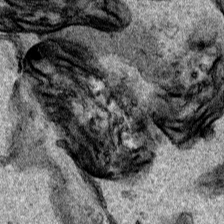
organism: Human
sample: Mitochondria in HCT116 cells